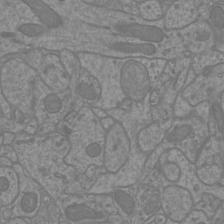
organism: Mouse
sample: Cortical neurons